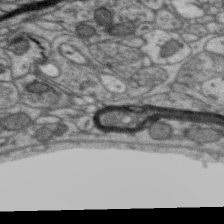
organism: Zebra finch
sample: Brain